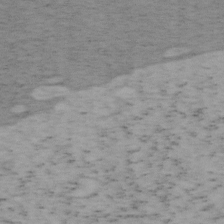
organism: Mouse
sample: OT-I killer T cells with ID8 ovarian cancer cells